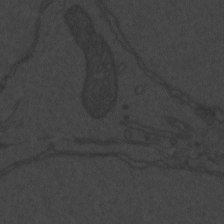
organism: Zebrafish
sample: Macrophage infected with Toxoplasma gondii